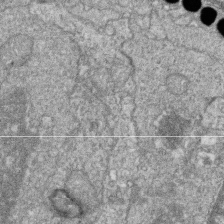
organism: Zebrafish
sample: Cilia; retinal pigment epithelium